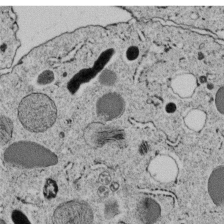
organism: C. elegans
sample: C. elegans embryo early stage